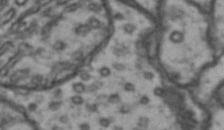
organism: Drosophila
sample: Brain